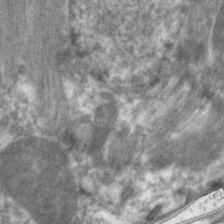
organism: C. elegans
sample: Pharynx